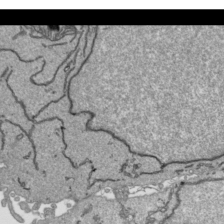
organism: Human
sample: Mitochondria in HCT116 cells